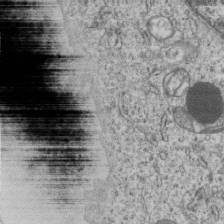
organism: Human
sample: MDA-MB-231 cells